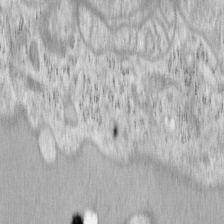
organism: Human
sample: HeLa cells